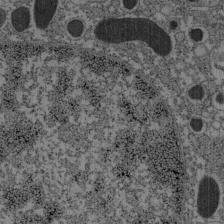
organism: C57BL Mouse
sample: Pancreatic islet